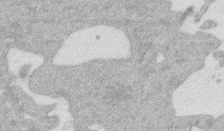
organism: Mouse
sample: Dividing mouse embryo 1 cell stage